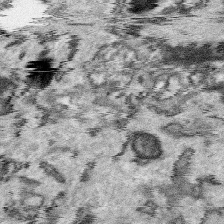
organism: Human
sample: HeLa cells